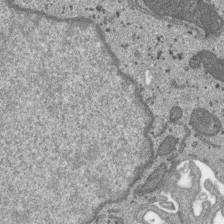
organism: Human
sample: Lung epithelial cells infected with SARS-CoV-2